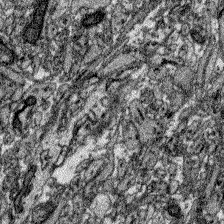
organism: Zebrafish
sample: Larval olfactory bulb